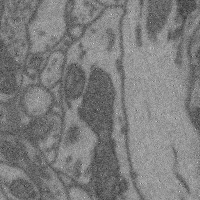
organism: Mouse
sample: Cerebral cortex